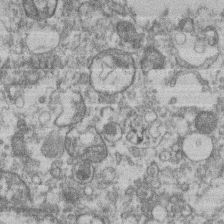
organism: Mouse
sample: T cell stromal cell synapse